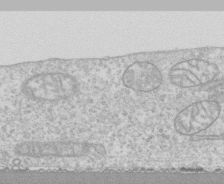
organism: Human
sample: CRL-1474